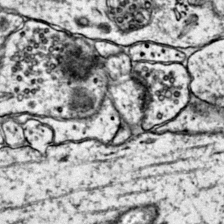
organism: Mouse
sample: Primary visual cortex